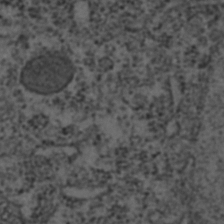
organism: C. elegans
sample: C. elegans embryo